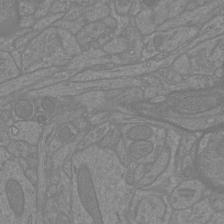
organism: Mouse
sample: Cortical neurons